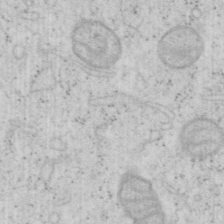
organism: Human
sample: HeLa cells